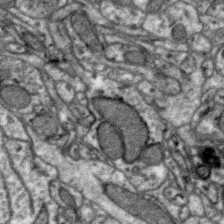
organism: Zebra finch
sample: Brain